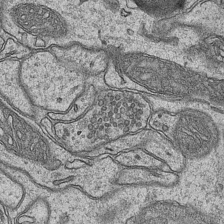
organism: Mouse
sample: CA1 Hippocampus